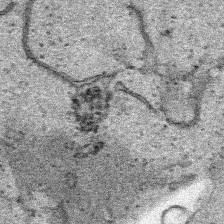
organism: Human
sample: Mitochondria in HCT116 cells